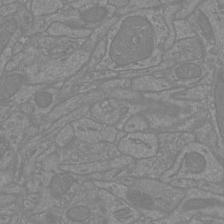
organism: Mouse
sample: Cortical neurons